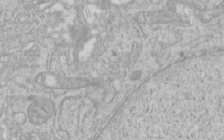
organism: Human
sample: Centriole in RPE cells